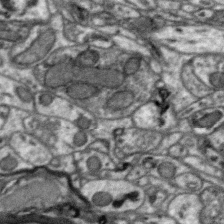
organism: Zebra finch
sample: Brain